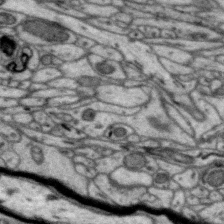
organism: Zebra finch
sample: Brain